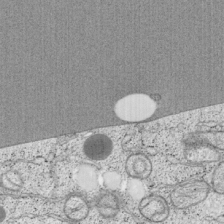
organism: African green monkey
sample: COS-7 cells